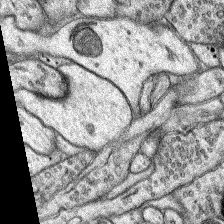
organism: Rat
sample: Hippocampus